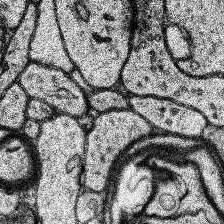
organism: Human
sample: Temporal Lobe